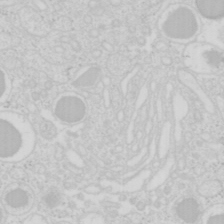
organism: Mouse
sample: Pancreas